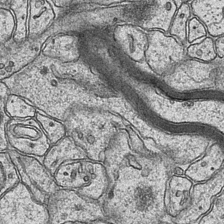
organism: Mouse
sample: CA1 Hippocampus